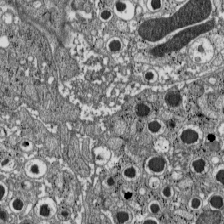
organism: C57BL Mouse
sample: Pancreatic islet